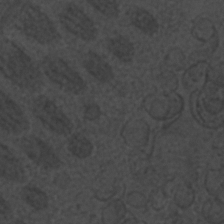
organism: C. elegans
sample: C. elegans embryo